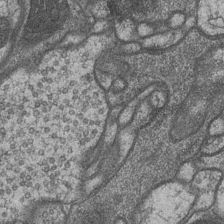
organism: Drosophila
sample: Optic medulla